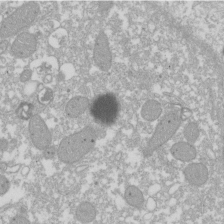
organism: Xenopus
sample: Cilia; centrioles in frog embryo cells